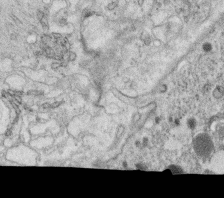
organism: C. elegans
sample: C. elegans oocyte; sperm cells